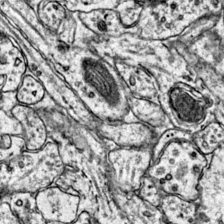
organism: Mouse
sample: Primary visual cortex